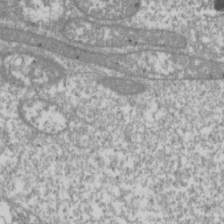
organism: Drosophila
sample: Cell division; meiosis; drosophila spermatocytes